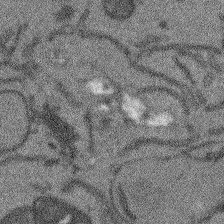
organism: Arabidopsis thaliana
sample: Root tip